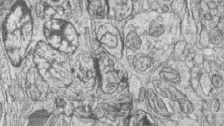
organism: Zebrafish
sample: synaptic ribbons in rod cells and cone cells